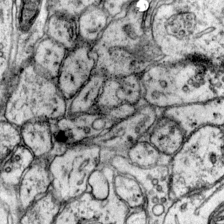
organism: Mouse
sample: Primary visual cortex